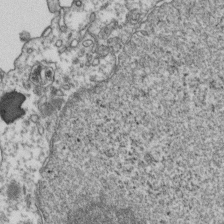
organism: Human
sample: Activated Jurkat CD4+ T cells